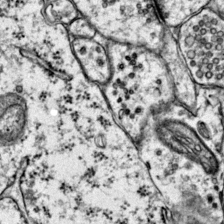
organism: Mouse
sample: Primary visual cortex